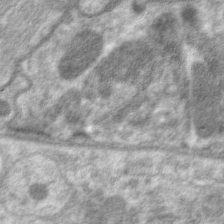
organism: C. elegans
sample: Pharynx